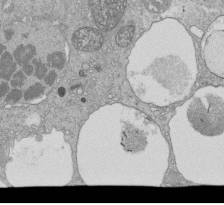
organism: Tetrahymena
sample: Cilia in tetrahymena